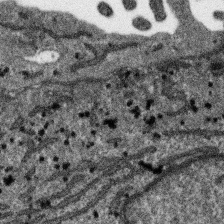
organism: Human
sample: Lung epithelial cells infected with SARS-CoV-2